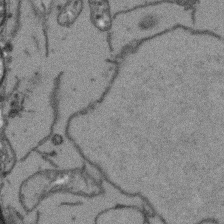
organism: Arabidopsis thaliana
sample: Root tip